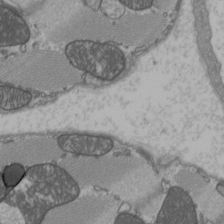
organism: C57BL Mouse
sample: Heart